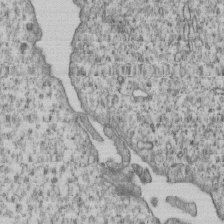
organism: Human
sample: MDA-MB-231 cells